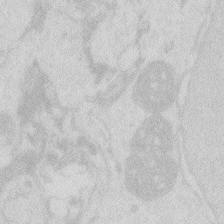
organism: Zebrafish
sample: Macrophage